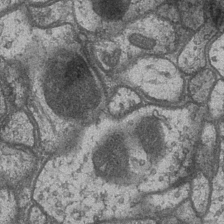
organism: Drosophila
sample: Optic medulla